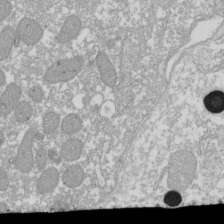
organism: Xenopus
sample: Cilia; centrioles in frog embryo cells